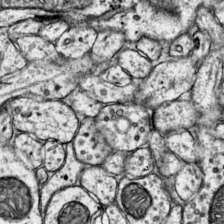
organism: Mouse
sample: Primary visual cortex